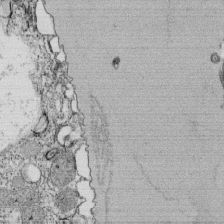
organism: Tetrahymena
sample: Cilia in tetrahymena